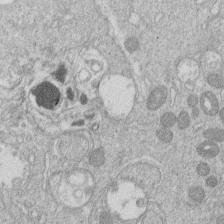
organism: Human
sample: Macrophage cells